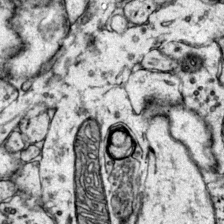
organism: Mouse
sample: Primary visual cortex